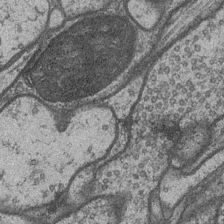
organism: Drosophila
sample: Optic medulla